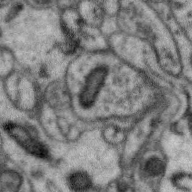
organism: Zebra finch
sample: Brain